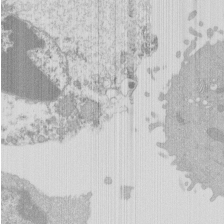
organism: Mouse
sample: Activated Pmel transgenic CD8+ T Cells